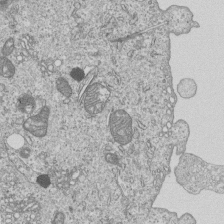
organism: Human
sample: MDA-MB-231 cells